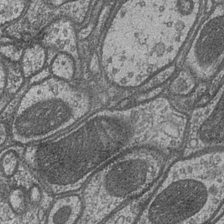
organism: Drosophila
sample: Optic medulla